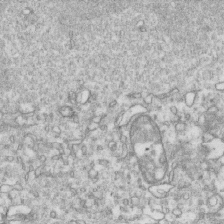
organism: Mouse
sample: Activated OT-1 CD8+ T cells